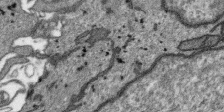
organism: Human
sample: Lung epithelial cells, uninfected (mock) control